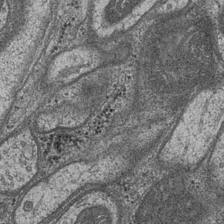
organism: Drosophila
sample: Optic medulla